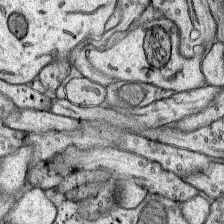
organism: Rat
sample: Hippocampus